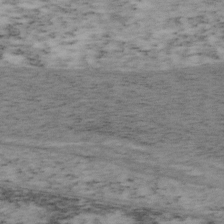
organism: Mouse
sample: OT-I killer T cells with ID8 ovarian cancer cells